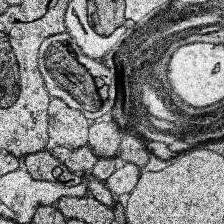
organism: Human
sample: Temporal Lobe